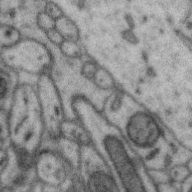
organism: Zebra finch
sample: Brain